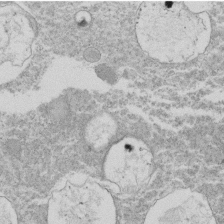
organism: Tetrahymena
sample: Cilia in tetrahymena